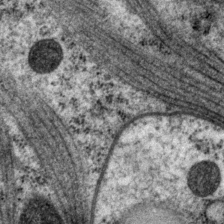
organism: P. pacificus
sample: Pharynx